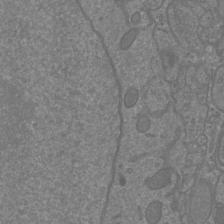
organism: Mouse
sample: Cortical neurons